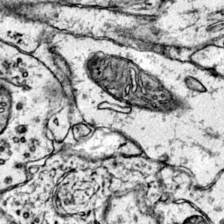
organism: Mouse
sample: Primary visual cortex